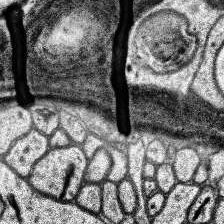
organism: Human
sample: Temporal Lobe